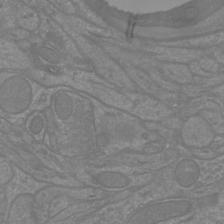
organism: Mouse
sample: Cortical neurons